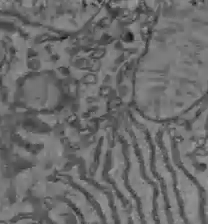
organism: C57BL Mouse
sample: Liver